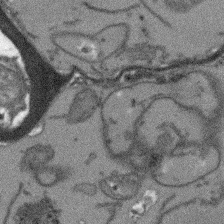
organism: Arabidopsis thaliana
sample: Root tip